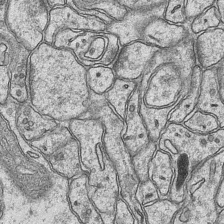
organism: Mouse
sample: CA1 Hippocampus